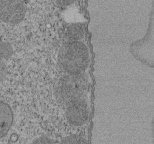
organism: Tetrahymena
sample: Cilia in tetrahymena